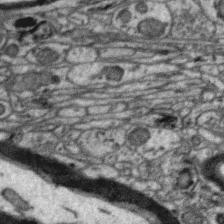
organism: Zebra finch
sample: Brain